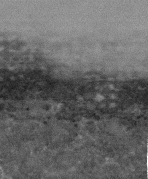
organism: Human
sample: Fibroblast cells